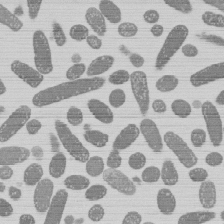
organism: E. coli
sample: Bacterial nucleoid